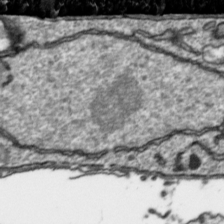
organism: Toxoplasma gondii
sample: Parasites in a vacuole inside a host cell